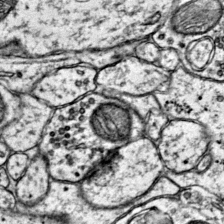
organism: Mouse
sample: Primary visual cortex